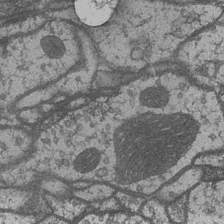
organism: Drosophila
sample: Optic medulla